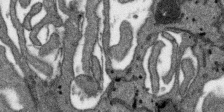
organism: Human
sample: Lung epithelial cells, uninfected (mock) control